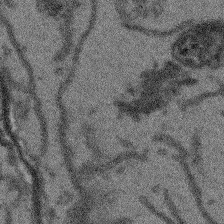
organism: Arabidopsis thaliana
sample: Root tip